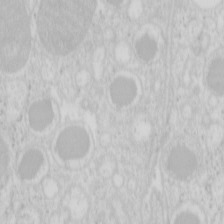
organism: Mouse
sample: Pancreas